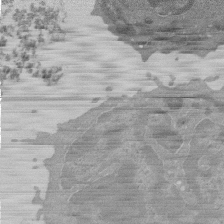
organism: Mouse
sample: Activated Pmel transgenic CD8+ T Cells